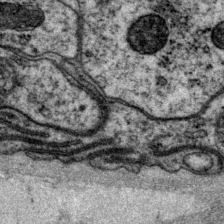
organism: P. pacificus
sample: Pharynx